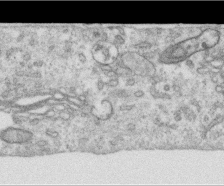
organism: Human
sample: Centriole in RPE cells